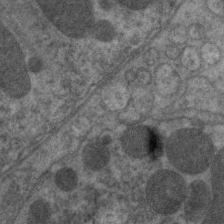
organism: C. elegans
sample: Pharynx